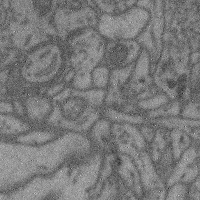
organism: Mouse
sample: Cerebral cortex